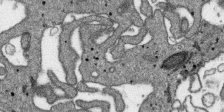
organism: Human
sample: Lung epithelial cells, uninfected (mock) control